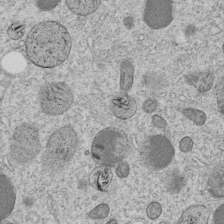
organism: C. elegans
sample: C. elegans embryo early stage